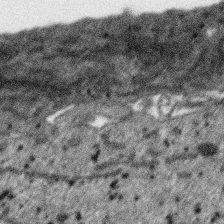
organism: Human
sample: Lung epithelial cells infected with SARS-CoV-2